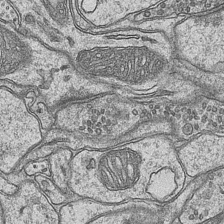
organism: Mouse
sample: CA1 Hippocampus